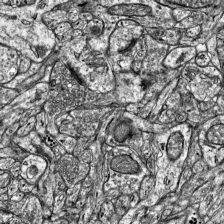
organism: Mouse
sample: Visual Cortex